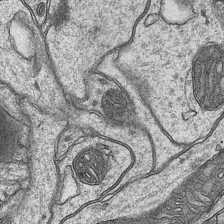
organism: Mouse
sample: CA1 Hippocampus